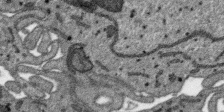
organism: Human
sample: Lung epithelial cells, uninfected (mock) control